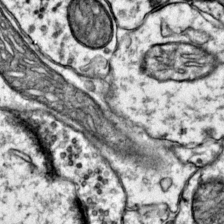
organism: Mouse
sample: Primary visual cortex